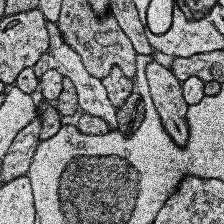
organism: Human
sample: Temporal Lobe